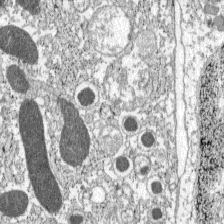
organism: C57BL Mouse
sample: Pancreatic islet